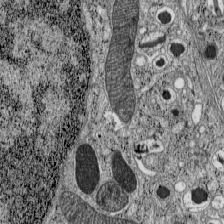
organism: C57BL Mouse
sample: Pancreatic islet